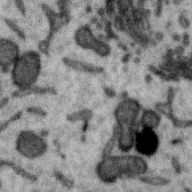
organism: Zebra finch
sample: Brain